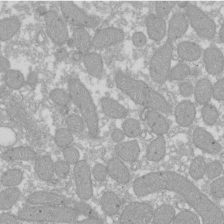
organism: Xenopus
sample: Cilia; centrioles in frog embryo cells